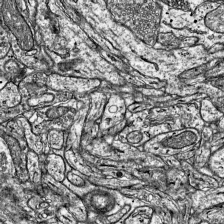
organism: Mouse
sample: Visual Cortex